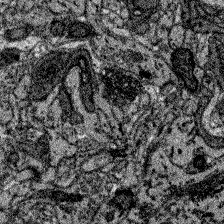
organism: Zebrafish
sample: Larval olfactory bulb